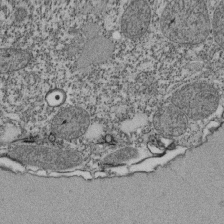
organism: Tetrahymena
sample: Cilia in tetrahymena